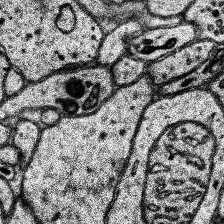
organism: Human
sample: Temporal Lobe